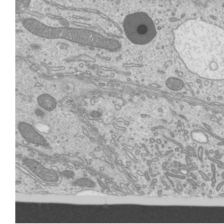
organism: Mouse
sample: Cilia; mouse epididymis